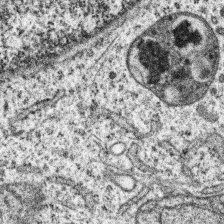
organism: Human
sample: HeLa cells